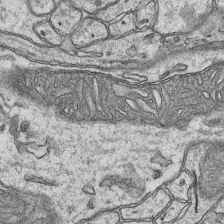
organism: Mouse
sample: CA1 Hippocampus